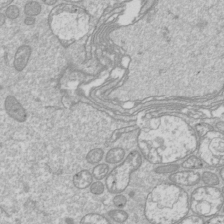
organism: Drosophila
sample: Cell division; meiosis; drosophila spermatocytes